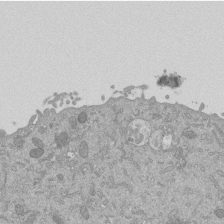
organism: Mouse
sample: ED-1 cell nuclei; centrioles